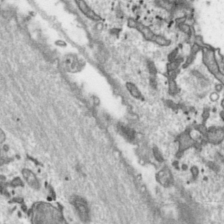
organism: Toxoplasma gondii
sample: Parasites in a vacuole inside a host cell